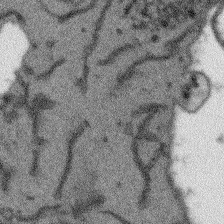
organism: Arabidopsis thaliana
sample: Root tip